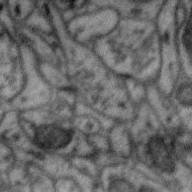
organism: Zebra finch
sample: Brain